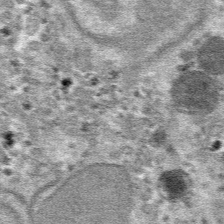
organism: Mouse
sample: Mouse hepatocytes